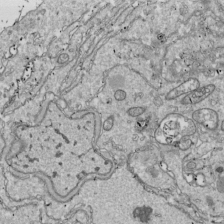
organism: Drosophila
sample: Cell division; meiosis; drosophila spermatocytes